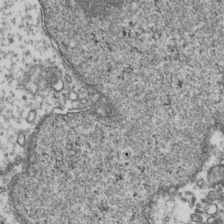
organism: Human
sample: Activated Jurkat CD4+ T cells